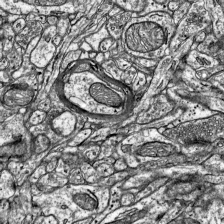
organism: Mouse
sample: Visual Cortex